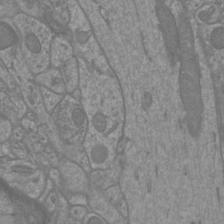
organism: Mouse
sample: Cortical neurons